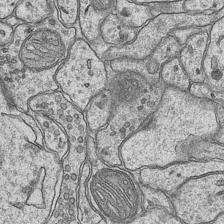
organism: Mouse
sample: CA1 Hippocampus